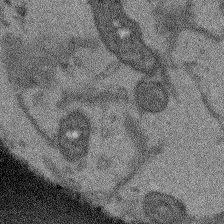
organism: Arabidopsis thaliana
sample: Root tip